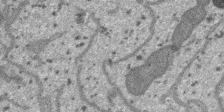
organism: Human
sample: Lung epithelial cells infected with SARS-CoV-2